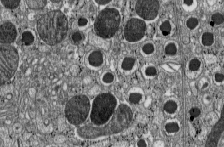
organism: C57BL Mouse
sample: Pancreatic islet